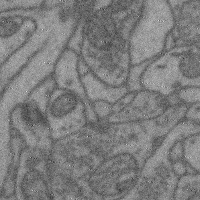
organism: Mouse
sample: Cerebral cortex